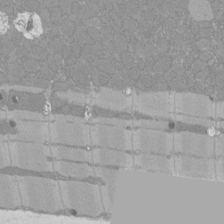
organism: Rat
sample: Left ventricle